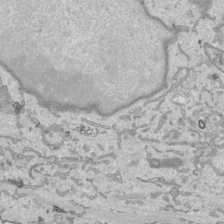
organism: Human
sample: Mitochondria in HCT116 cells